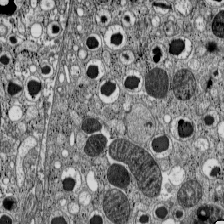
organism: C57BL Mouse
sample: Pancreatic islet